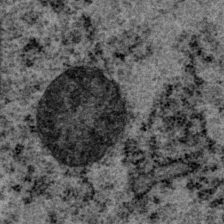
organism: P. pacificus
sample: Pharynx